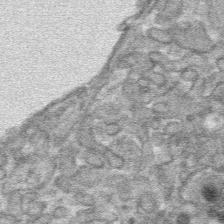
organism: Mouse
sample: Mouse hepatocytes